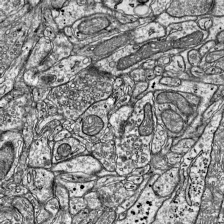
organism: Mouse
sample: Visual Cortex